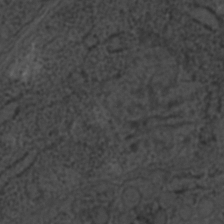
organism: C. elegans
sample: C. elegans embryo